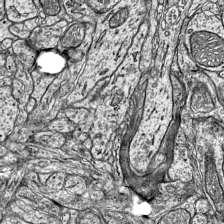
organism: Mouse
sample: Visual Cortex